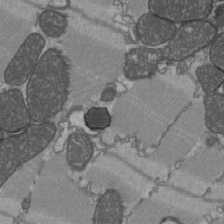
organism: C57BL Mouse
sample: Heart